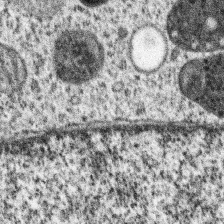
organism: Human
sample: HeLa cells